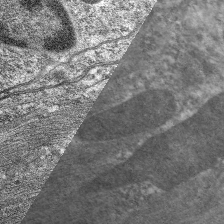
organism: C. elegans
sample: Pharynx